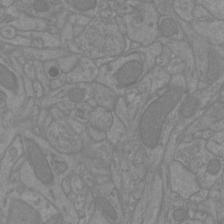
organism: Mouse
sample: Cortical neurons